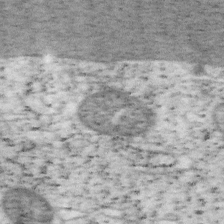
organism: Mouse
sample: OT-I killer T cells with ID8 ovarian cancer cells